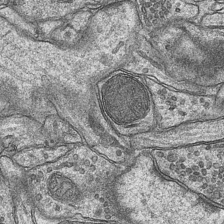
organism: Mouse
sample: CA1 Hippocampus